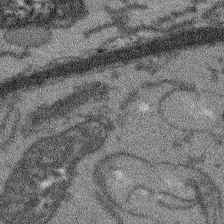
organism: Arabidopsis thaliana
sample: Root tip